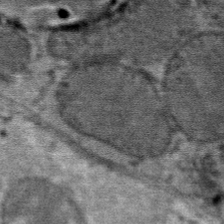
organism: Mouse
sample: Mouse Salivary gland